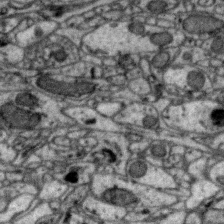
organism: Zebra finch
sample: Brain